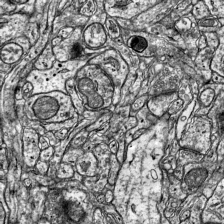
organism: Mouse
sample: Visual Cortex